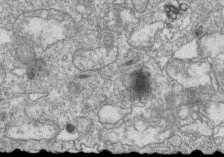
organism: Human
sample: HeLa cell HIV synapse